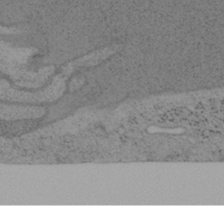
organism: Mouse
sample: OT-I killer T cells with ID8 ovarian cancer cells